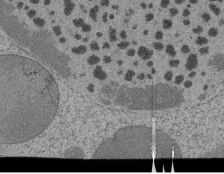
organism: Tetrahymena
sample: Cilia in tetrahymena